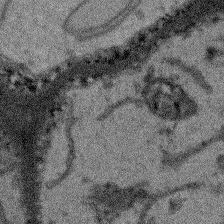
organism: Arabidopsis thaliana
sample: Root tip